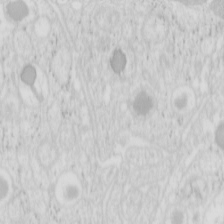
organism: Mouse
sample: Pancreas